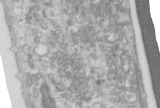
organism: Human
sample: Centriole in RPE cells